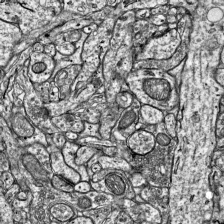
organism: Mouse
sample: Visual Cortex